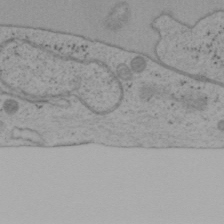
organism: Human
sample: HeLa cells